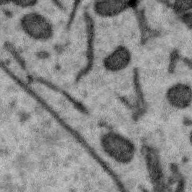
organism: Zebra finch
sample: Brain